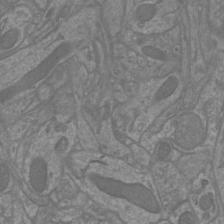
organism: Mouse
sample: Cortical neurons